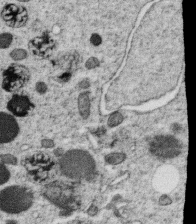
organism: C. elegans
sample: C. elegans oocyte; sperm cells